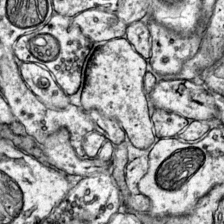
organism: Mouse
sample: Primary visual cortex